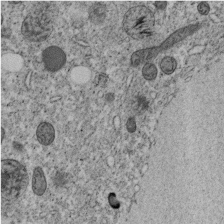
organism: C. elegans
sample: C. elegans embryo early stage